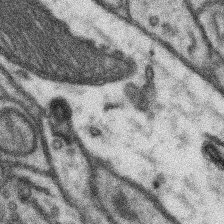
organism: Mouse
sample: Somatosensory cortex neuropil